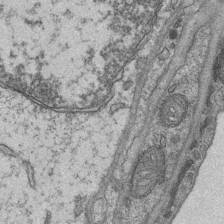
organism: Mouse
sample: CA1 Hippocampus